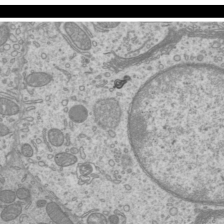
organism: Mouse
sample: Cilia; mouse epididymis